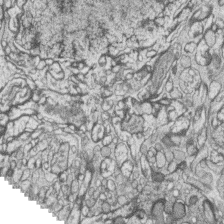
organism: Zebrafish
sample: synaptic ribbons in rod cells and cone cells